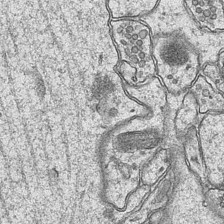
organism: Mouse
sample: CA1 Hippocampus